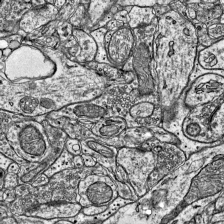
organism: Mouse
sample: Visual Cortex